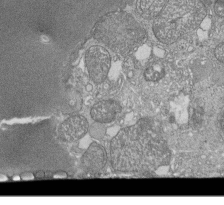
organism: Tetrahymena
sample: Cilia in tetrahymena